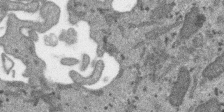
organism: Human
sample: Lung epithelial cells infected with SARS-CoV-2